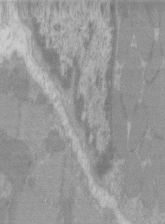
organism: C57BL Mouse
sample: Tibialis anterior muscle cell